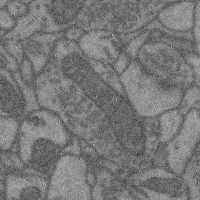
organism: Mouse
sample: Cerebral cortex